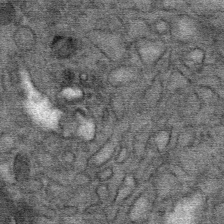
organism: Mouse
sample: Mouse Salivary gland